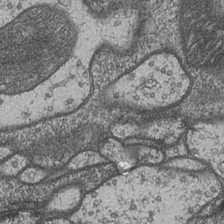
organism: Drosophila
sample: Optic medulla